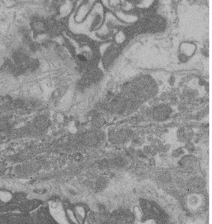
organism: Rat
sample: Salivary granule